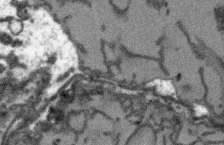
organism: Arabidopsis thaliana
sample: Root tip